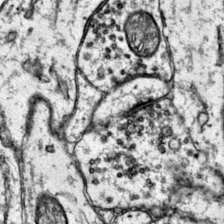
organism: Mouse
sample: Primary visual cortex